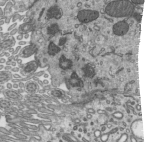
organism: Mouse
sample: Mouse epididymis efferent ductule cilia